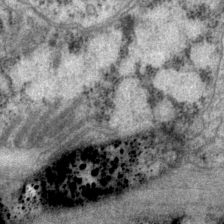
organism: P. pacificus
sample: Pharynx